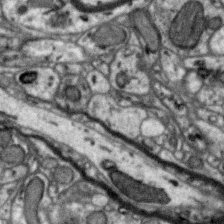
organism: Zebra finch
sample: Brain